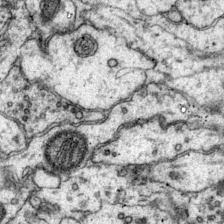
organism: Mouse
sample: Primary visual cortex